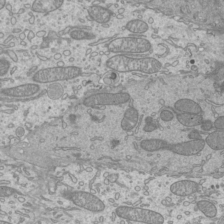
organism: Mouse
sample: Cilia; mouse epididymis